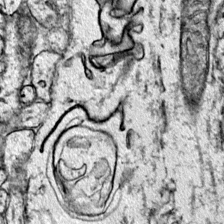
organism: Mouse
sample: Primary visual cortex